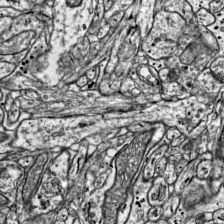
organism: Mouse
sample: Visual Cortex